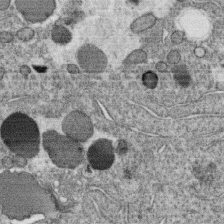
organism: C. elegans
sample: C. elegans oocyte; sperm cells